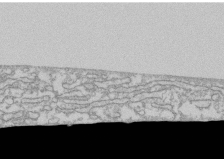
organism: Human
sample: CRL-1474